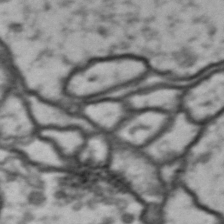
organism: Drosophila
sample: Brain